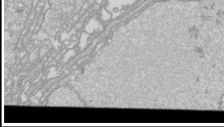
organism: Drosophila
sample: Cell division; meiosis; drosophila spermatocytes